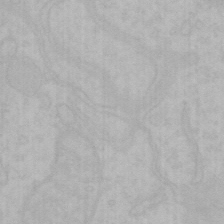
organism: Mouse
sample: Choroid plexus